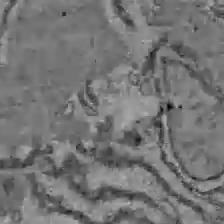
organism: C57BL Mouse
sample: Liver